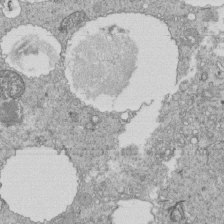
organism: Tetrahymena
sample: Cilia in tetrahymena